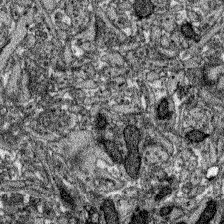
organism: Zebrafish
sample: Larval olfactory bulb